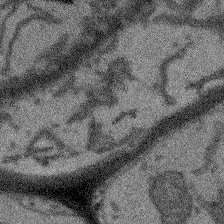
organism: Arabidopsis thaliana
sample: Root tip